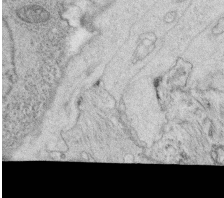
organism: C. elegans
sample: C. elegans oocyte; sperm cells